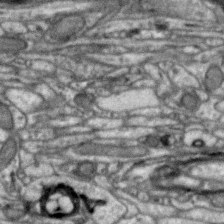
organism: Zebra finch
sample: Brain